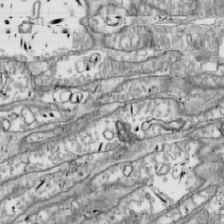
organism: Drosophila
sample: Cell division; meiosis; drosophila spermatocytes